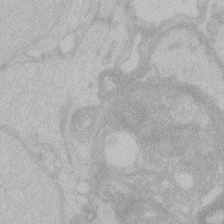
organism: Zebrafish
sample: Macrophage infected with Toxoplasma gondii